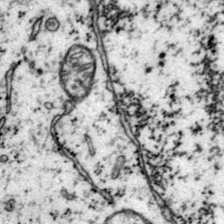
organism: Mouse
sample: Primary visual cortex